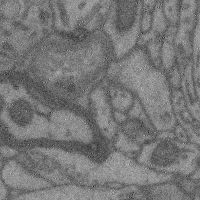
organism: Mouse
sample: Cerebral cortex